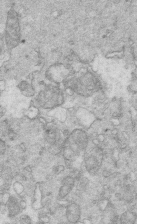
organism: Mouse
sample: Multiciliated cells